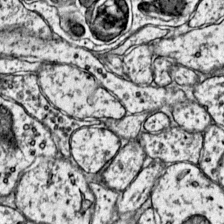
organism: Mouse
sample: Primary visual cortex